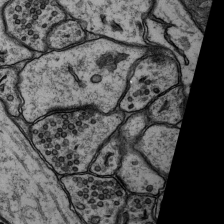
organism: Rat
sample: Hippocampus